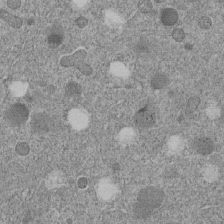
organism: C. elegans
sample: C. elegans embryo early stage